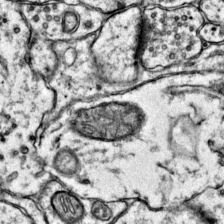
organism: Mouse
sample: Primary visual cortex